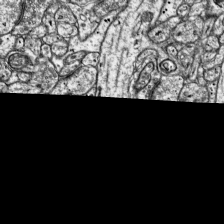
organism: Mouse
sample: Visual Cortex